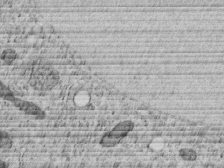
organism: C. elegans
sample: C. elegans embryo early stage